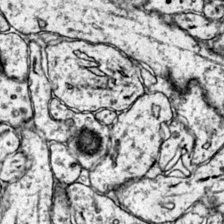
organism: Mouse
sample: Primary visual cortex